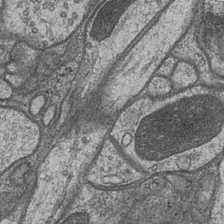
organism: Drosophila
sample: Optic medulla